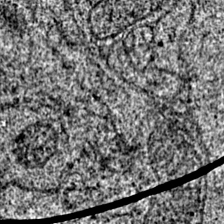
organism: Mouse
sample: Primary visual cortex